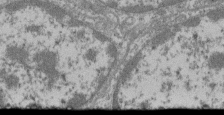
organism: Mouse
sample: Glomerulus